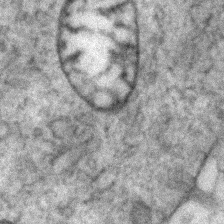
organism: Zebrafish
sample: Zebrafish embryo